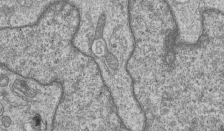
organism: Human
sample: MDA-MB-231 cells